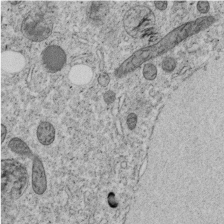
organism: C. elegans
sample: C. elegans embryo early stage